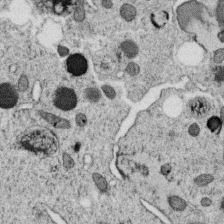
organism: C. elegans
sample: C. elegans oocyte; sperm cells